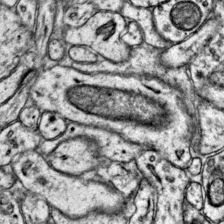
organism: Mouse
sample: Primary visual cortex